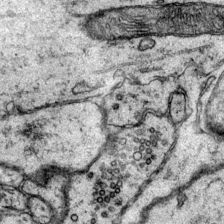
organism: Mouse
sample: Primary visual cortex